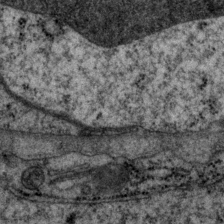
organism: P. pacificus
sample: Pharynx